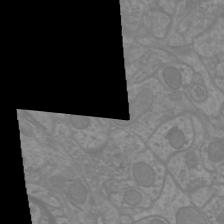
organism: Mouse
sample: Cortical neurons